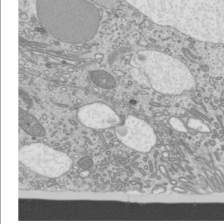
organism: Mouse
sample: Cilia; mouse epididymis